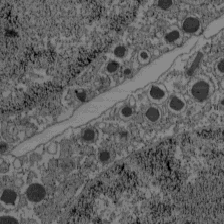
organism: C57BL Mouse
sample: Pancreatic islet